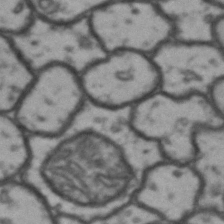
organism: Drosophila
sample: Brain